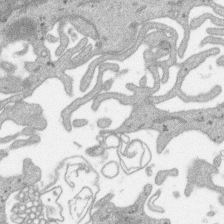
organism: Human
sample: Lung epithelial cells infected with SARS-CoV-2